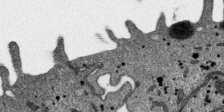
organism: Human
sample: Lung epithelial cells, uninfected (mock) control